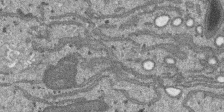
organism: Human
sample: Lung epithelial cells infected with SARS-CoV-2